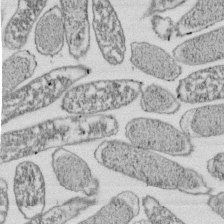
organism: E. coli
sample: Bacterial nucleoid